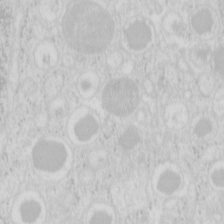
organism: Mouse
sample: Pancreas